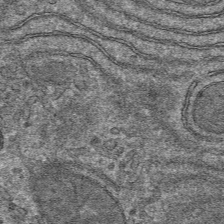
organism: Mouse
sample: Mouse hepatocytes